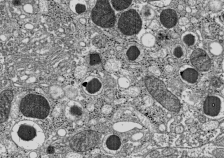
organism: C57BL Mouse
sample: Pancreatic islet